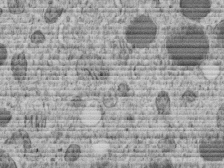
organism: C. elegans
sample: C. elegans embryo early stage